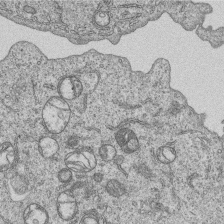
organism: Human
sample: MDA-MB-231 cells